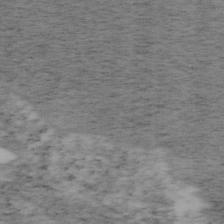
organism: Mouse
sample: OT-I killer T cells with ID8 ovarian cancer cells